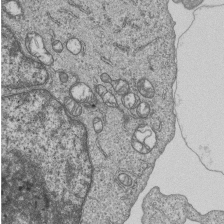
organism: Human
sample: MDA-MB-231 cells